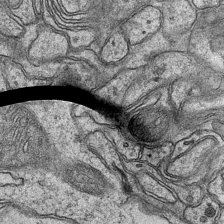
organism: Mouse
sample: CA1 Hippocampus